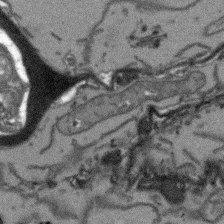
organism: Arabidopsis thaliana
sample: Root tip